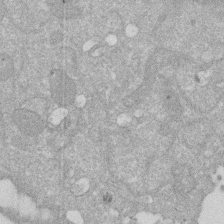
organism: Human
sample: HIV infected U937 cells